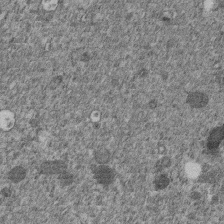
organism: C. elegans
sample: C. elegans embryo early stage